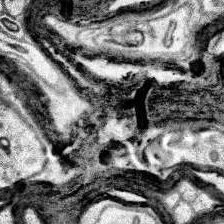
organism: Human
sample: Temporal Lobe